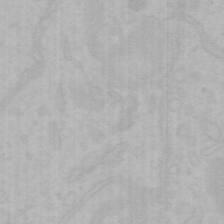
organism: Mouse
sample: Choroid plexus